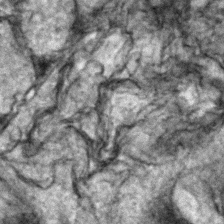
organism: Zebrafish